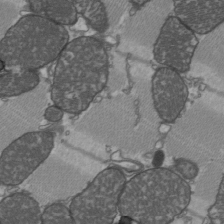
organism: C57BL Mouse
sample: Heart